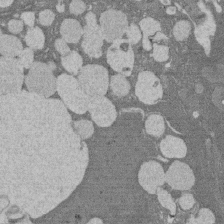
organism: Rat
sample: Salivary granule